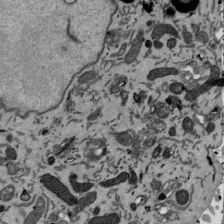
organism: Mouse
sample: ED-1 cell nuclei; centrioles